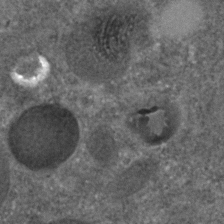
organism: C. elegans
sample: C. elegans embryo